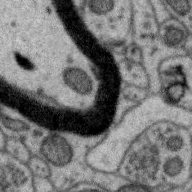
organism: Zebra finch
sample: Brain